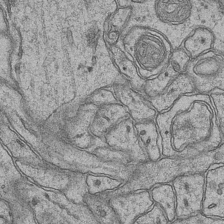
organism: Mouse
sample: CA1 Hippocampus